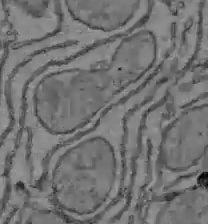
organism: C57BL Mouse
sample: Liver